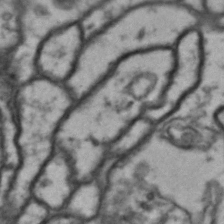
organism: Drosophila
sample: Brain